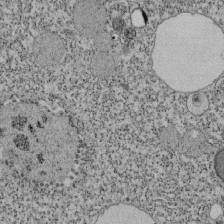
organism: Tetrahymena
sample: Cilia in tetrahymena